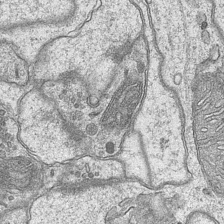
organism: Mouse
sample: CA1 Hippocampus